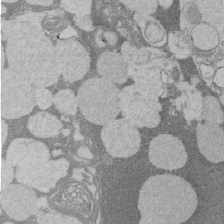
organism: Rat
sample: Salivary granule